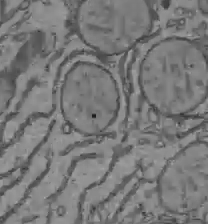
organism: C57BL Mouse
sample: Liver